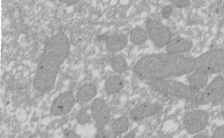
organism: Xenopus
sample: Cilia; centrioles in frog embryo cells